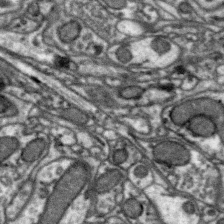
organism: Zebra finch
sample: Brain